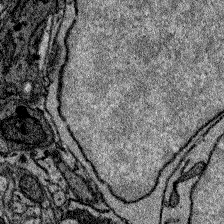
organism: Zebrafish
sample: Larval olfactory bulb